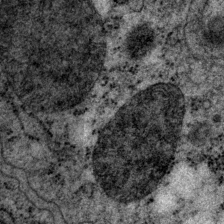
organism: P. pacificus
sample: Pharynx